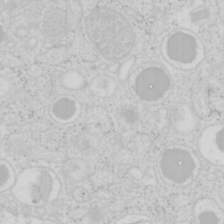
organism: Mouse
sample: Pancreas